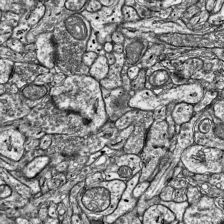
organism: Mouse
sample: Visual Cortex